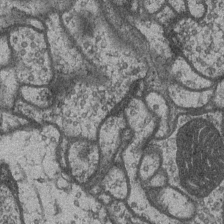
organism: Drosophila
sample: Optic medulla